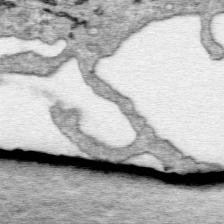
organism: Human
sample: HeLa cells